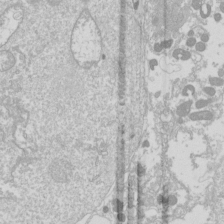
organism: Drosophila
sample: Cell division; meiosis; drosophila spermatocytes